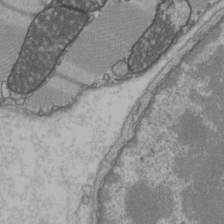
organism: C57BL Mouse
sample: Heart